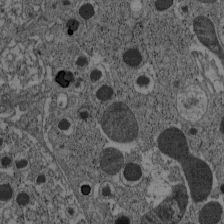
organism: C57BL Mouse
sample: Pancreatic islet